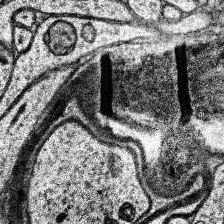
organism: Human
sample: Temporal Lobe